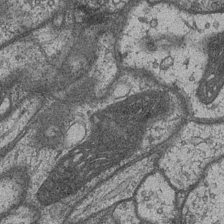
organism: Drosophila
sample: Optic medulla